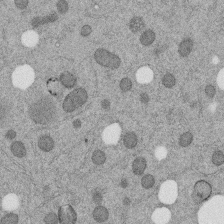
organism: C. elegans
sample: C. elegans embryo early stage